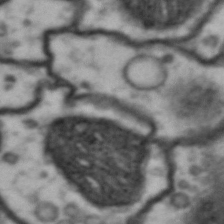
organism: Drosophila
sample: Brain